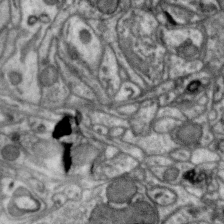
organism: Zebra finch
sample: Brain